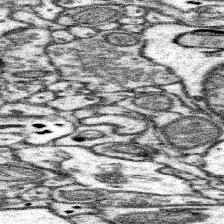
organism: Mouse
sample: Somatosensory cortex neuropil